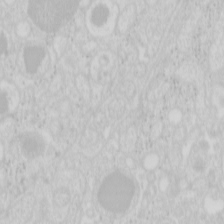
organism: Mouse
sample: Pancreas